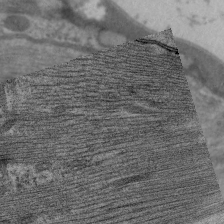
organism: C. elegans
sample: Pharynx